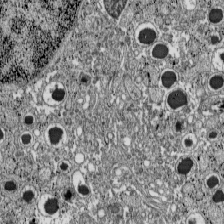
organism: C57BL Mouse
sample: Pancreatic islet